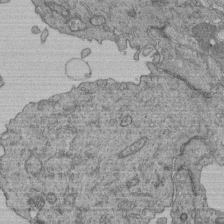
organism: Human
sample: Retinal organoid Rod and Cone cells